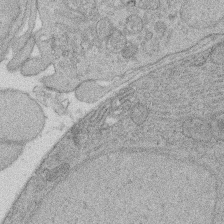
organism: Rat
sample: Salivary granule